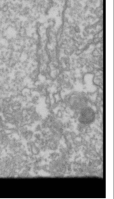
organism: Drosophila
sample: Cell division; meiosis; drosophila spermatocytes